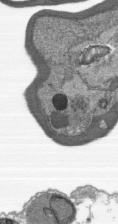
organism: Plasmodium falciparum